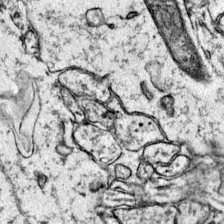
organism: Mouse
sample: Primary visual cortex